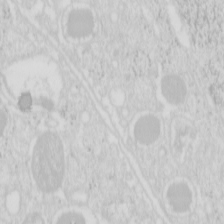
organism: Mouse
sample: Pancreas